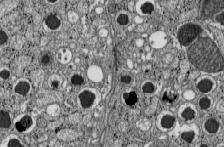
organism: C57BL Mouse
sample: Pancreatic islet